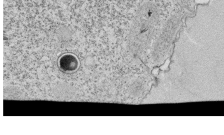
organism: Tetrahymena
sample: Cilia in tetrahymena